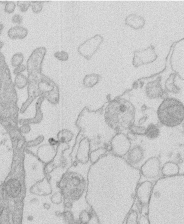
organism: Human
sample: Macrophage cells